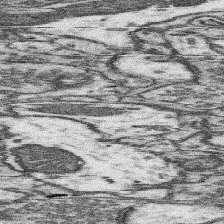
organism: Mouse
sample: Somatosensory cortex neuropil